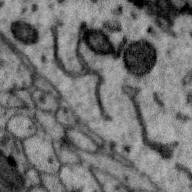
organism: Zebra finch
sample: Brain